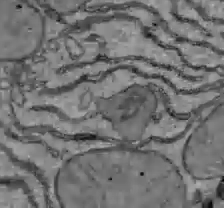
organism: C57BL Mouse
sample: Liver